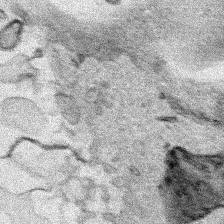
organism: Human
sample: Mitochondria in HCT116 cells